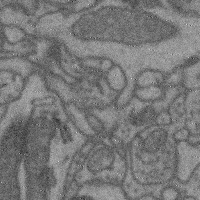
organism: Mouse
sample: Cerebral cortex